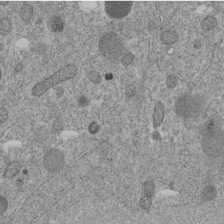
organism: C. elegans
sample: C. elegans embryo early stage